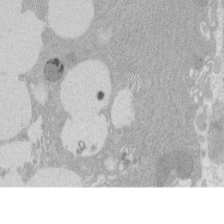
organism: Rat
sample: Salivary granule